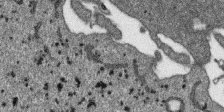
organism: Human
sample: Lung epithelial cells infected with SARS-CoV-2